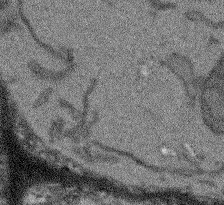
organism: Arabidopsis thaliana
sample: Root tip